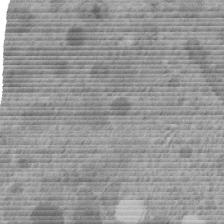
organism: C. elegans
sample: C. elegans embryo early stage